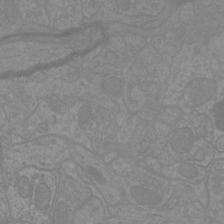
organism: Mouse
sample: Cortical neurons